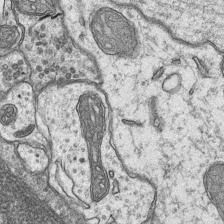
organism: Mouse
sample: CA1 Hippocampus